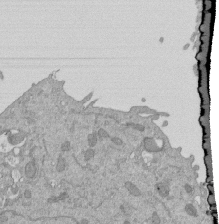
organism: Mouse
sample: ED-1 cell nuclei; centrioles